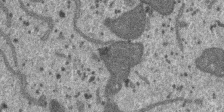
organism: Human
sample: Lung epithelial cells infected with SARS-CoV-2